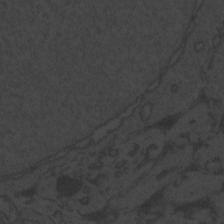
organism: Zebrafish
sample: Macrophage infected with Toxoplasma gondii